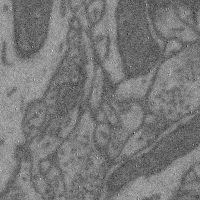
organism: Mouse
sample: Cerebral cortex